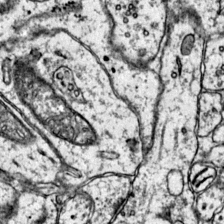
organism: Mouse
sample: Primary visual cortex